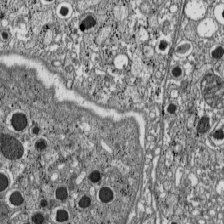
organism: C57BL Mouse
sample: Pancreatic islet